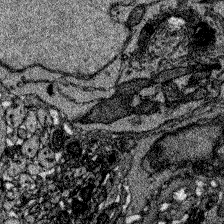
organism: Zebrafish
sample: Larval olfactory bulb